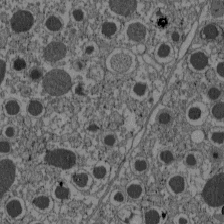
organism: C57BL Mouse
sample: Pancreatic islet